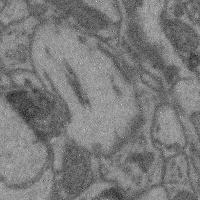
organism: Mouse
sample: Cerebral cortex